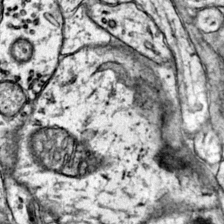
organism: Mouse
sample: Primary visual cortex